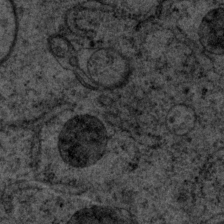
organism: P. pacificus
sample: Pharynx